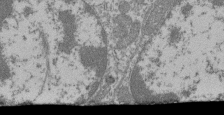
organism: Mouse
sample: Glomerulus